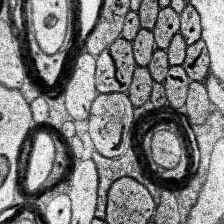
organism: Human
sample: Temporal Lobe